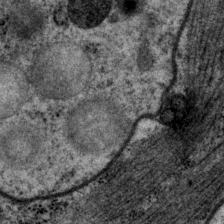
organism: P. pacificus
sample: Pharynx